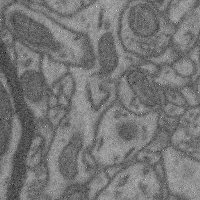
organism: Mouse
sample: Cerebral cortex